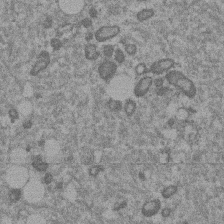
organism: Mouse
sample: Dividing mouse embryo 1 cell stage